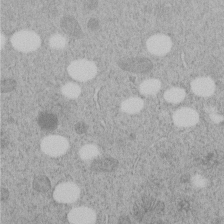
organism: C. elegans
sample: C. elegans embryo early stage